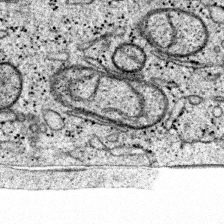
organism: Human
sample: HeLa cells